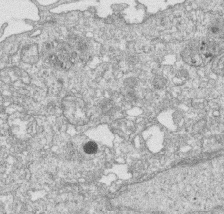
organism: Human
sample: HeLa cell HIV synapse